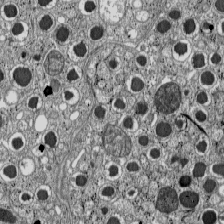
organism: C57BL Mouse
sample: Pancreatic islet